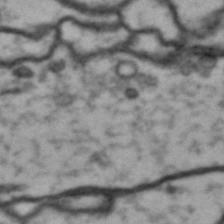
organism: Drosophila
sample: Brain